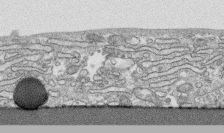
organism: Human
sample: CRL-1474